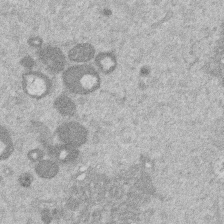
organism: Mouse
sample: Dividing mouse embryo 1 cell stage